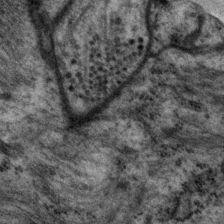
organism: P. pacificus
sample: Pharynx